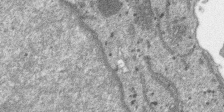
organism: Human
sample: Lung epithelial cells infected with SARS-CoV-2